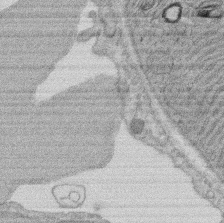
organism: Rat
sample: Salivary granule